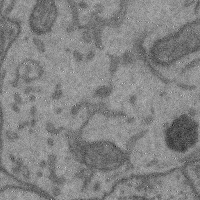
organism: Mouse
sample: Cerebral cortex